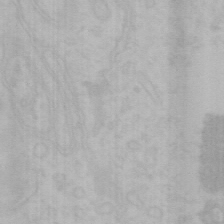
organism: Mouse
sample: Choroid plexus